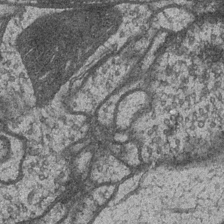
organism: Drosophila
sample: Optic medulla